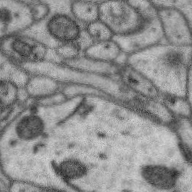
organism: Zebra finch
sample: Brain